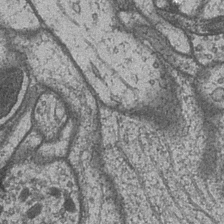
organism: Drosophila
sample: Optic medulla